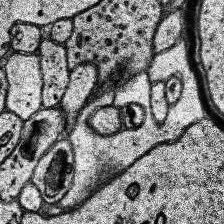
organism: Human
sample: Temporal Lobe